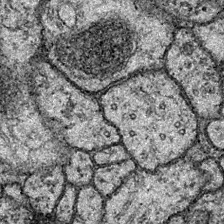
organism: Drosophila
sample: Ventral Nerve Cord